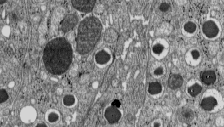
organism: C57BL Mouse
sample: Pancreatic islet